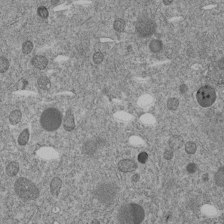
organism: C. elegans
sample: C. elegans embryo early stage